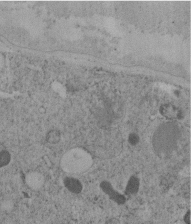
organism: C. elegans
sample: C. elegans embryo early stage